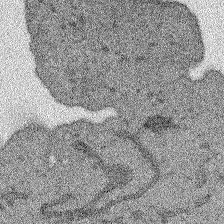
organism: Human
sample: HeLa cells